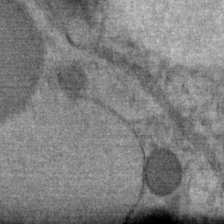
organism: Mouse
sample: Mouse Salivary gland